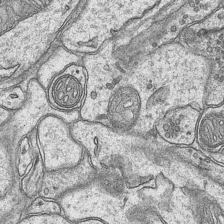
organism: Mouse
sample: CA1 Hippocampus